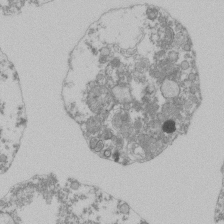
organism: Mouse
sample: Activated Pmel transgenic CD8+ T Cells